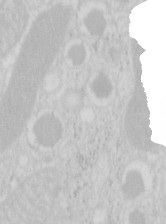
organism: Mouse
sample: Pancreas